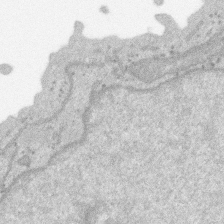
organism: Human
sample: Lung epithelial cells infected with SARS-CoV-2